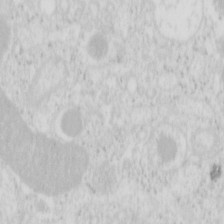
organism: Mouse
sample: Pancreas